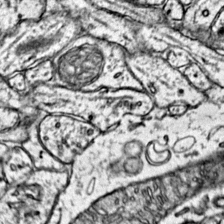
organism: Mouse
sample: Primary visual cortex